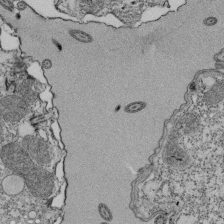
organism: Tetrahymena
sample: Cilia in tetrahymena